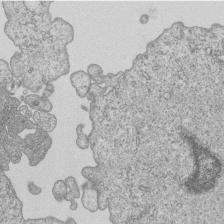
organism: Human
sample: MDA-MB-231 cells